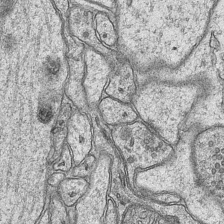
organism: Mouse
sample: CA1 Hippocampus